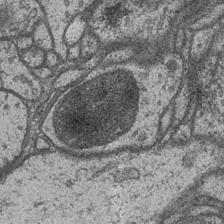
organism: Drosophila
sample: Optic medulla